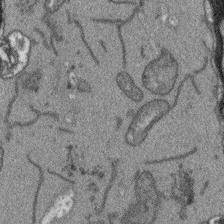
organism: Arabidopsis thaliana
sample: Root tip